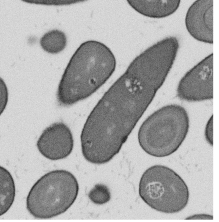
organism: B. subtilis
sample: Bacterial spore